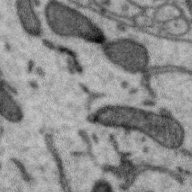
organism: Zebra finch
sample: Brain